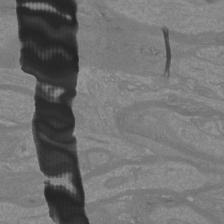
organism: Mouse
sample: Cortical neurons